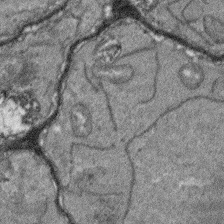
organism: Arabidopsis thaliana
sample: Root tip